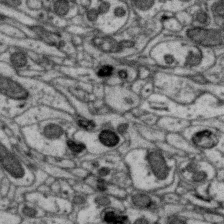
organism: Zebra finch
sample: Brain